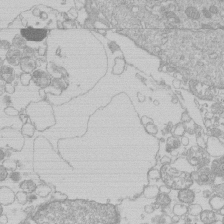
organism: Human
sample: Macrophage cells